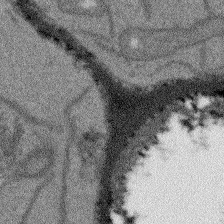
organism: Arabidopsis thaliana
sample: Root tip